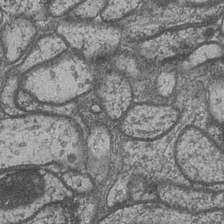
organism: Drosophila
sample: Optic medulla